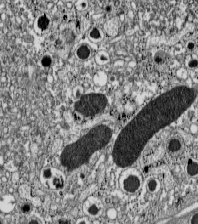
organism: C57BL Mouse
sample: Pancreatic islet